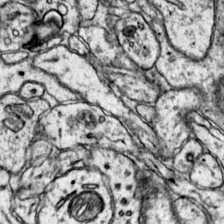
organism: Mouse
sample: Primary visual cortex